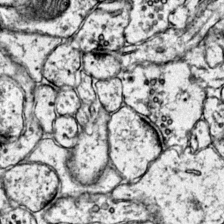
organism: Mouse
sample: Primary visual cortex